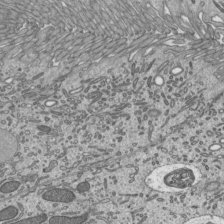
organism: Mouse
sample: Mouse epididymis efferent ductule cilia